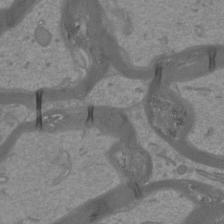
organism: Mouse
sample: Cortical neurons